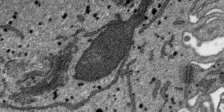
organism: Human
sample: Lung epithelial cells, uninfected (mock) control